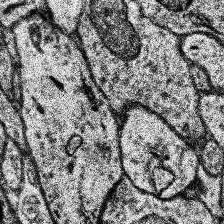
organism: Human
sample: Temporal Lobe